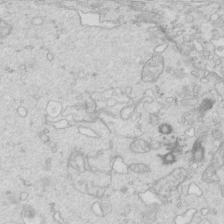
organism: Mouse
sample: Multiciliated cells